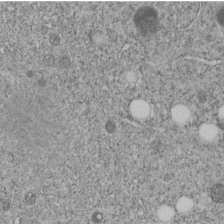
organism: C. elegans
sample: C. elegans embryo early stage